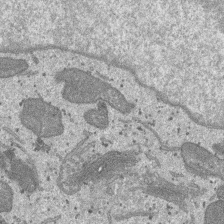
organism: Human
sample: Lung epithelial cells infected with SARS-CoV-2